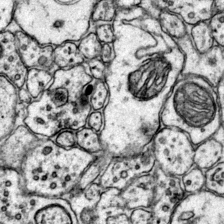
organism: Mouse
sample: Primary visual cortex